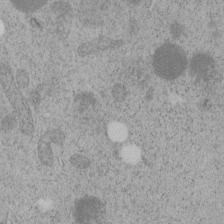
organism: C. elegans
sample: C. elegans embryo early stage